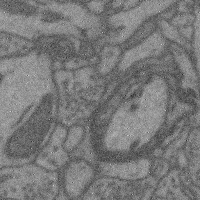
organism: Mouse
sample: Cerebral cortex